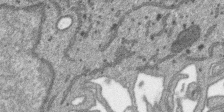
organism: Human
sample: Lung epithelial cells infected with SARS-CoV-2